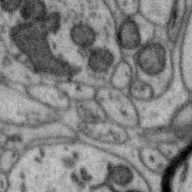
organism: Zebra finch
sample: Brain